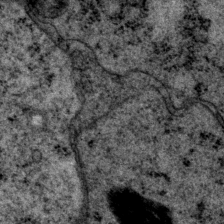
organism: P. pacificus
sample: Pharynx